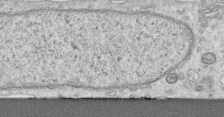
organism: Human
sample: Centriole in RPE cells